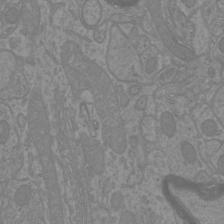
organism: Mouse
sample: Cortical neurons